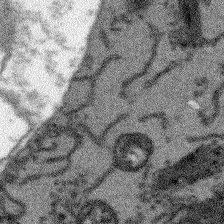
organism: Arabidopsis thaliana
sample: Root tip